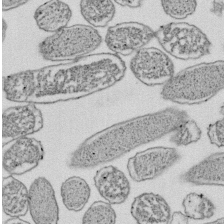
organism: E. coli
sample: Bacterial nucleoid